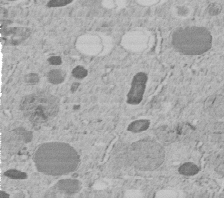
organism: C. elegans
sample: C. elegans embryo early stage